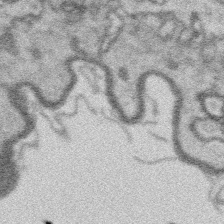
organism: Platynereis dumerilii